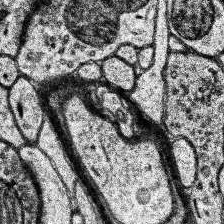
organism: Human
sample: Temporal Lobe